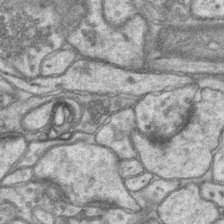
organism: Mouse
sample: CA1 Hippocampus